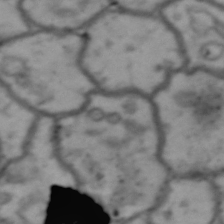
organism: Drosophila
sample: Brain